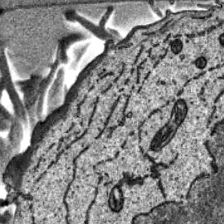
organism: Human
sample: HeLa cells